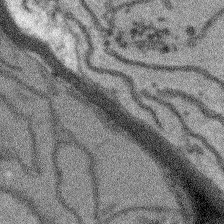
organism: Arabidopsis thaliana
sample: Root tip